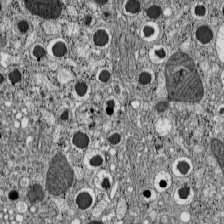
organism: C57BL Mouse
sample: Pancreatic islet